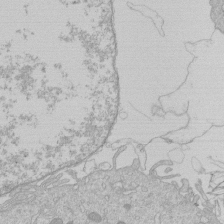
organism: Human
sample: Macrophage cells